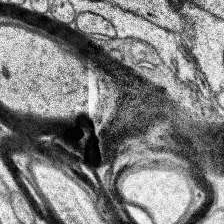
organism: Human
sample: Temporal Lobe